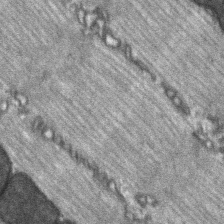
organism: C57BL Mouse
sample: Soleus